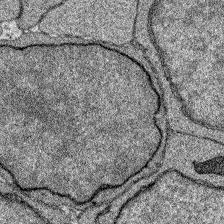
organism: Zebrafish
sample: Larval olfactory bulb